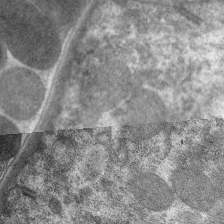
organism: C. elegans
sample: Pharynx